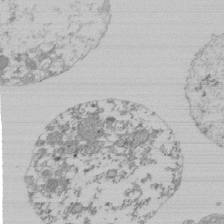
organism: Mouse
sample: Activated Pmel transgenic CD8+ T Cells